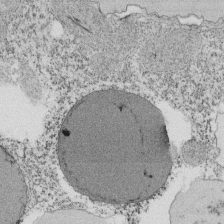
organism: Tetrahymena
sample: Cilia in tetrahymena